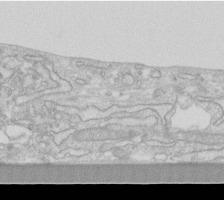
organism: Human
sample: Fibroblast cells